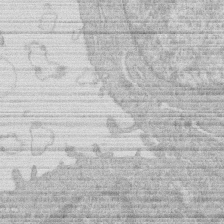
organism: Human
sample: Macrophage cells